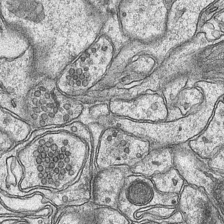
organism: Mouse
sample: CA1 Hippocampus